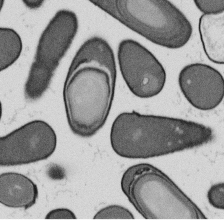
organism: B. subtilis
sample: Bacterial spore